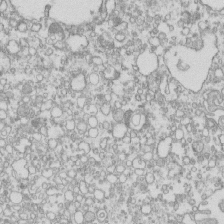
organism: Mouse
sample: Macrophages